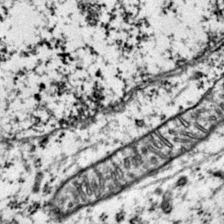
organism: Mouse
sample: Primary visual cortex